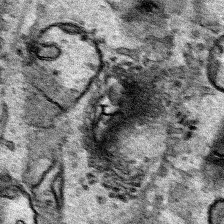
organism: Human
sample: Mitochondria in HCT116 cells